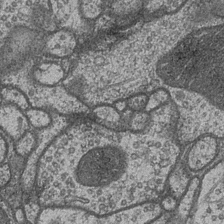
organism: Drosophila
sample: Optic medulla